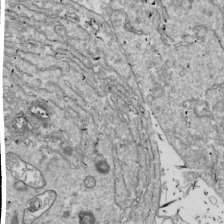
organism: Drosophila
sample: Cell division; meiosis; drosophila spermatocytes